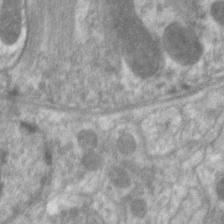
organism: C. elegans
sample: Pharynx